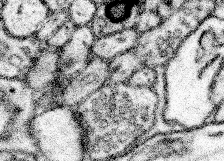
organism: Mouse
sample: Somatosensory cortex neuropil